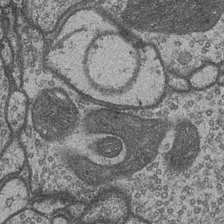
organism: Drosophila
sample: Optic medulla